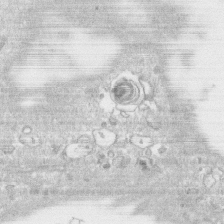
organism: Human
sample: CRL-1474